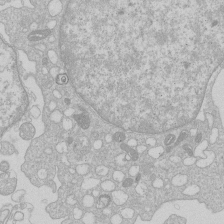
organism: Human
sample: Macrophage cells